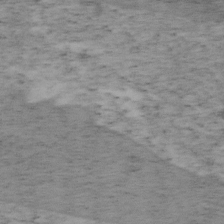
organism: Mouse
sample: OT-I killer T cells with ID8 ovarian cancer cells